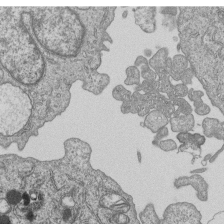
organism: Human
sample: MDA-MB-231 cells